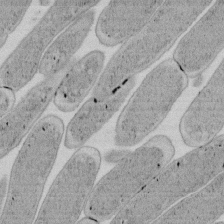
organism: E. coli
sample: Bacterial nucleoid